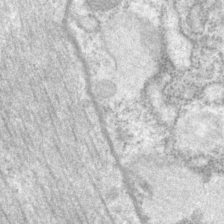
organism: P. pacificus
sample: Pharynx